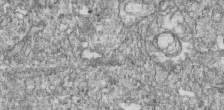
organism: Human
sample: HeLa cell HIV synapse